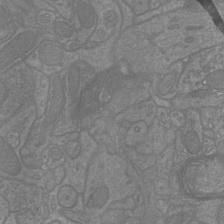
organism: Mouse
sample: Cortical neurons